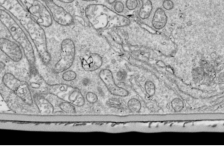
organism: Drosophila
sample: Cell division; meiosis; drosophila spermatocytes